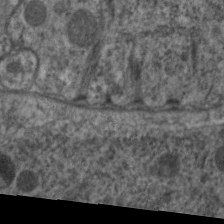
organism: C. elegans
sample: Pharynx